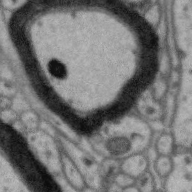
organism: Zebra finch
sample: Brain